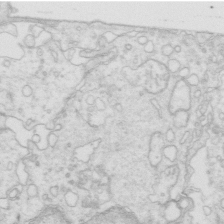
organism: Mouse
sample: Multiciliated cells